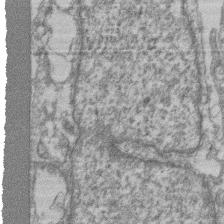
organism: Mouse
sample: T cell stromal cell synapse